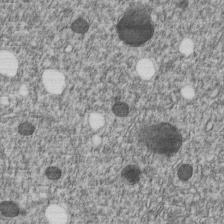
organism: C. elegans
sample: C. elegans embryo early stage